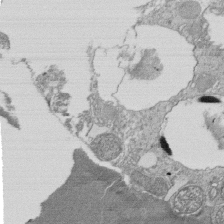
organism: Tetrahymena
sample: Cilia in tetrahymena